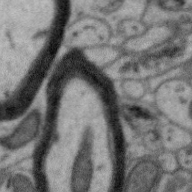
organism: Zebra finch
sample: Brain